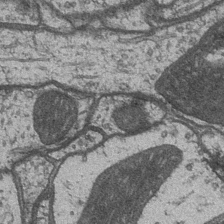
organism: Drosophila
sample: Optic medulla